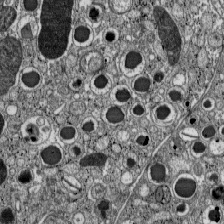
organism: C57BL Mouse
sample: Pancreatic islet